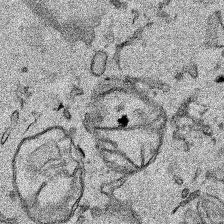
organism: Human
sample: Mitochondria in HCT116 cells